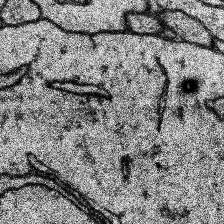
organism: Human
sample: Temporal Lobe